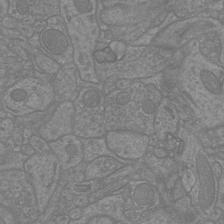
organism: Mouse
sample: Cortical neurons